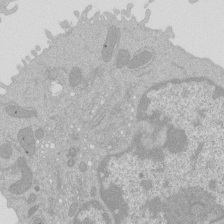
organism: Mouse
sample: Activated Pmel transgenic CD8+ T Cells